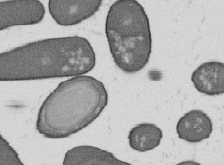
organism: B. subtilis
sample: Bacterial spore